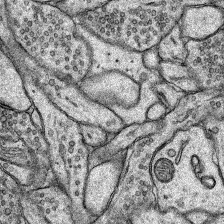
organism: Rat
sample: Hippocampus